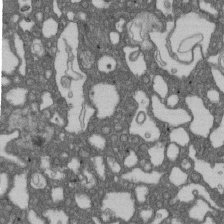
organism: Drosophila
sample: Nephrocyte